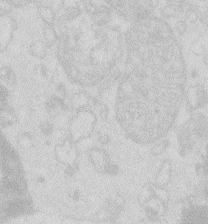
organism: Zebrafish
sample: Macrophage